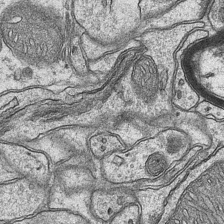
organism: Mouse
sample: CA1 Hippocampus